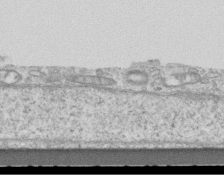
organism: Mouse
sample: Centriole in ependymal cells